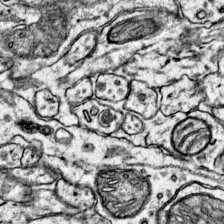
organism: Mouse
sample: Primary visual cortex